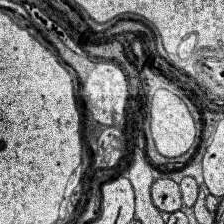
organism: Human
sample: Temporal Lobe